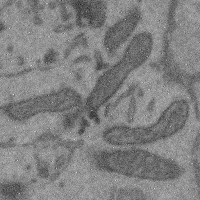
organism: Mouse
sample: Cerebral cortex